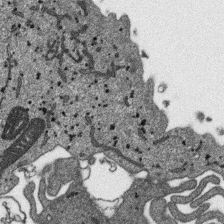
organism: Human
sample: Lung epithelial cells infected with SARS-CoV-2